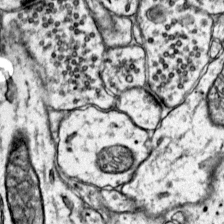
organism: Mouse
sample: Primary visual cortex